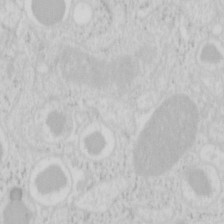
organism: Mouse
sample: Pancreas